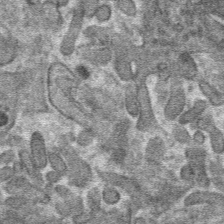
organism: Mouse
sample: Mouse hepatocytes